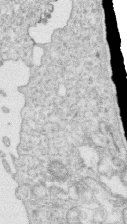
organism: Human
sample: HeLa cell HIV synapse